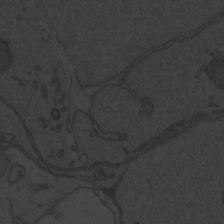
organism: Zebrafish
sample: Macrophage infected with Toxoplasma gondii